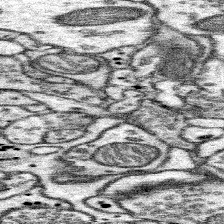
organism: Mouse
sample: Somatosensory cortex neuropil